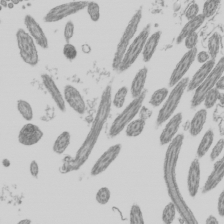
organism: Mouse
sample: Cilia; mouse epididymis